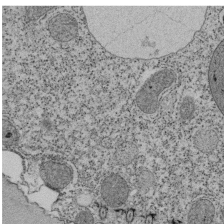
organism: Tetrahymena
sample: Cilia in tetrahymena